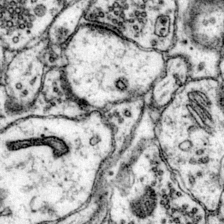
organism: Mouse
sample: Primary visual cortex